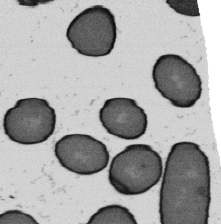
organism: B. subtilis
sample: Bacterial spore